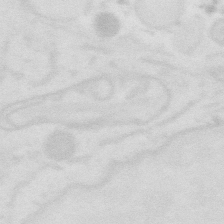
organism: Human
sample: HeLa cells